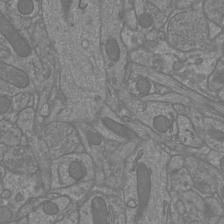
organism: Mouse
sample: Cortical neurons